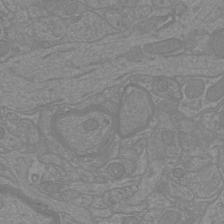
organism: Mouse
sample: Cortical neurons